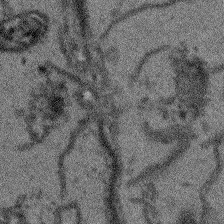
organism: Arabidopsis thaliana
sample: Root tip